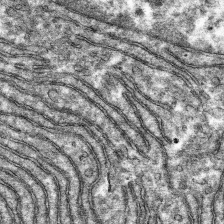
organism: Mouse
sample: Mouse hepatocytes